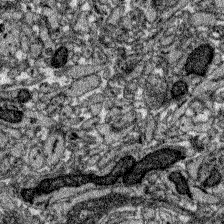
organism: Zebrafish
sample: Larval olfactory bulb